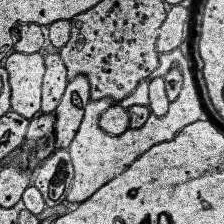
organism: Human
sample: Temporal Lobe